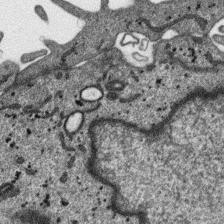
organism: Human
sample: Lung epithelial cells infected with SARS-CoV-2